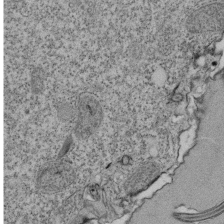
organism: Tetrahymena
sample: Cilia in tetrahymena